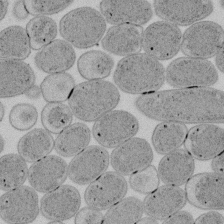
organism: E. coli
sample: Bacterial nucleoid